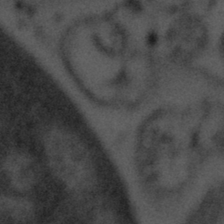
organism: Tuwongella immobilis